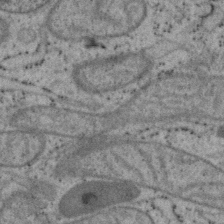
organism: Human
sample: HeLa cells